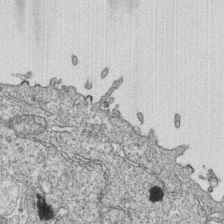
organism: Human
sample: HeLa cell HIV synapse